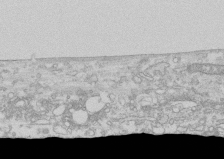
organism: Human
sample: CRL-1474